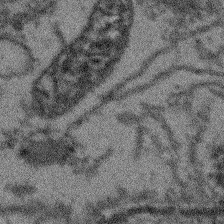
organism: Arabidopsis thaliana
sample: Root tip